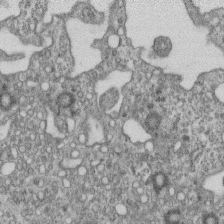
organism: Mouse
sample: Centriole in ependymal cells